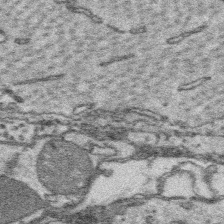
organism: Platynereis dumerilii